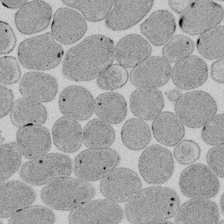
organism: E. coli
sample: Bacterial nucleoid